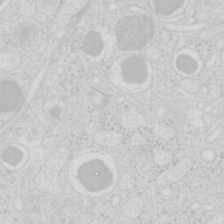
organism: Mouse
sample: Pancreas